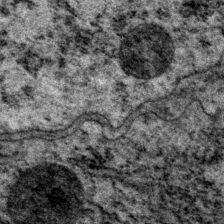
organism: P. pacificus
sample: Pharynx